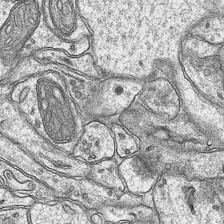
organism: Mouse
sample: CA1 Hippocampus